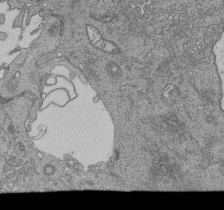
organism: Human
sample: Retinal organoid Rod and Cone cells